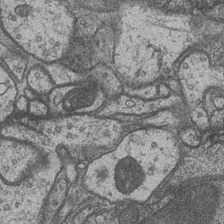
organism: Drosophila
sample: Optic medulla